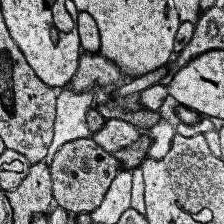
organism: Human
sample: Temporal Lobe